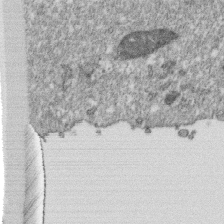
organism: African green monkey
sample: Vero E6 cells infected with SARS-CoV-2